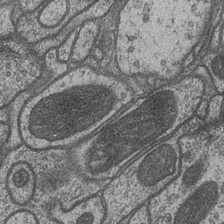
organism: Drosophila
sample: Optic medulla